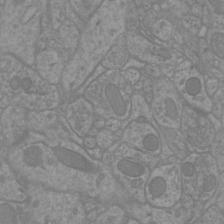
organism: Mouse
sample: Cortical neurons